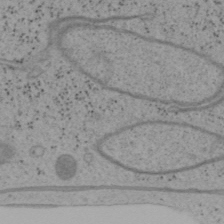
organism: Human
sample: HeLa cells